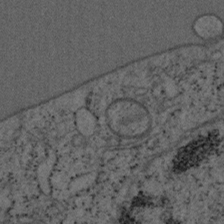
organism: Human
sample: HeLa cells